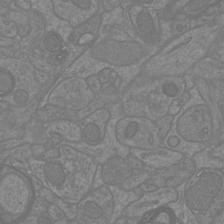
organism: Mouse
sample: Cortical neurons